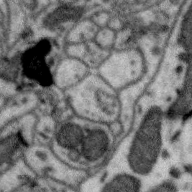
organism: Zebra finch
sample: Brain